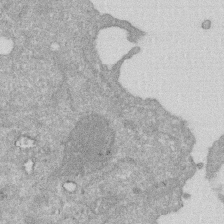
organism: Human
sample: HIV infected U937 cells